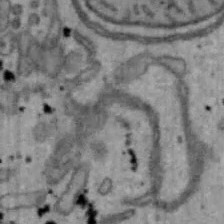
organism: Mouse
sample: Liver